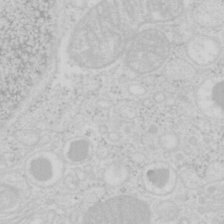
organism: Mouse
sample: Pancreas